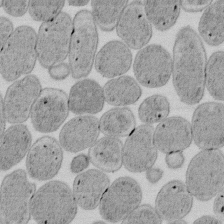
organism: E. coli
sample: Bacterial nucleoid